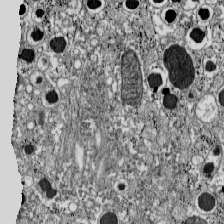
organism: C57BL Mouse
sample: Pancreatic islet